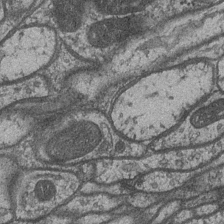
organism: Drosophila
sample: Optic medulla